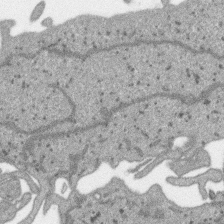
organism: Human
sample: Lung epithelial cells infected with SARS-CoV-2